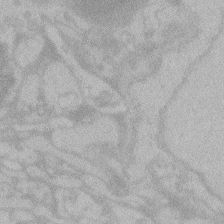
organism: Zebrafish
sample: Macrophage infected with Toxoplasma gondii